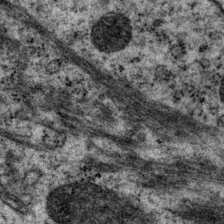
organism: P. pacificus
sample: Pharynx